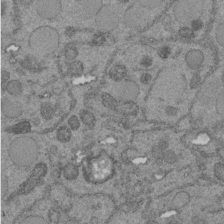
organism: C. elegans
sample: C. elegans embryo early stage